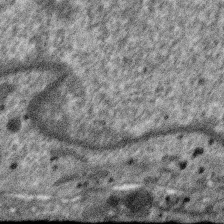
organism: Human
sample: Lung epithelial cells infected with SARS-CoV-2